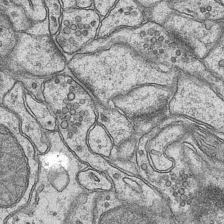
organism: Mouse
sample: CA1 Hippocampus